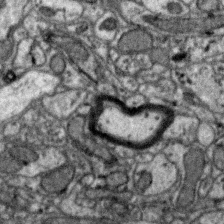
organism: Zebra finch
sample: Brain